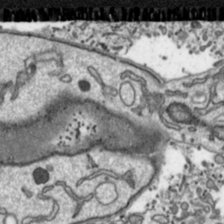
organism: Toxoplasma gondii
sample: Parasites in a vacuole inside a host cell